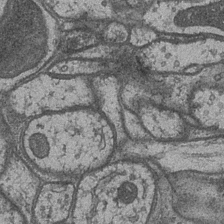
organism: Drosophila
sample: Optic medulla